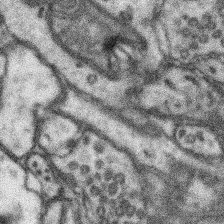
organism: Mouse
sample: Somatosensory cortex neuropil